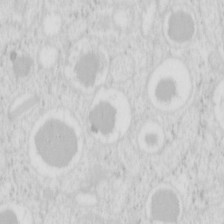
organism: Mouse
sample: Pancreas